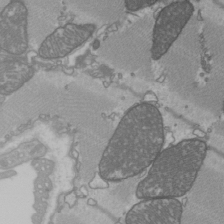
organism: C57BL Mouse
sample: Heart